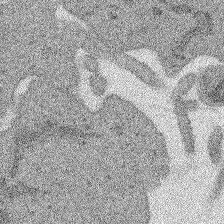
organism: Human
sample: HeLa cells